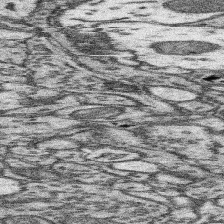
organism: Mouse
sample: Somatosensory cortex neuropil